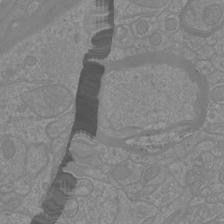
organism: Mouse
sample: Cortical neurons